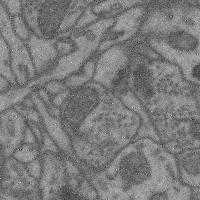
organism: Mouse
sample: Cerebral cortex